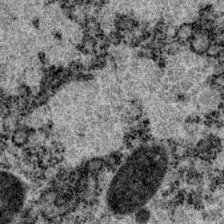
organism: P. pacificus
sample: Pharynx